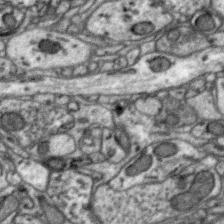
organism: Zebra finch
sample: Brain